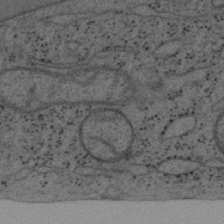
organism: Human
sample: HeLa cells